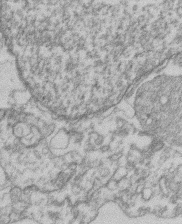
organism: Mouse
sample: T cell stromal cell synapse